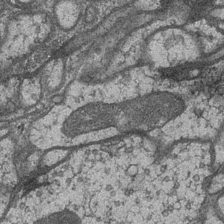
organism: Drosophila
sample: Optic medulla